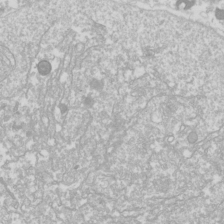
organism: Drosophila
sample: Cell division; meiosis; drosophila spermatocytes